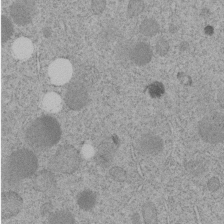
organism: C. elegans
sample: C. elegans embryo early stage